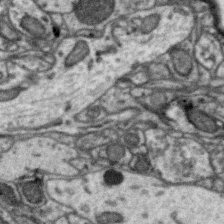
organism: Zebra finch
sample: Brain